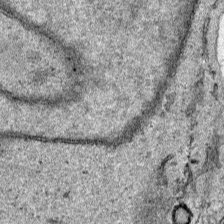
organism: Human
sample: Mitochondria in HCT116 cells